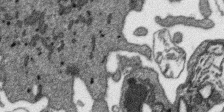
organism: Human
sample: Lung epithelial cells infected with SARS-CoV-2